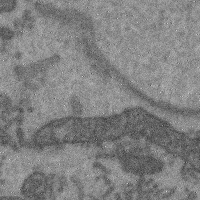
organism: Mouse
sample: Cerebral cortex